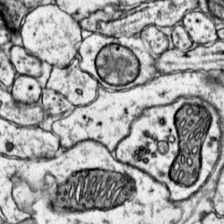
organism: Mouse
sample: Primary visual cortex